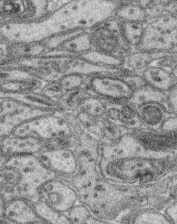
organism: Mouse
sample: Retina